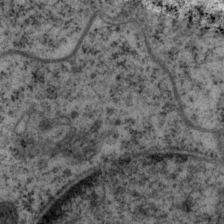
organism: P. pacificus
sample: Pharynx